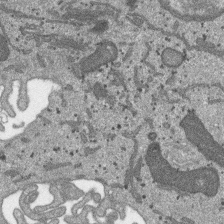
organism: Human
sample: Lung epithelial cells infected with SARS-CoV-2